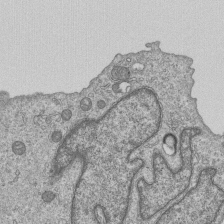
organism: Human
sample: MDA-MB-231 cells